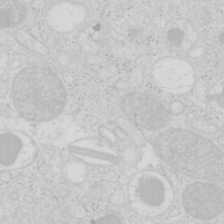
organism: Mouse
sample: Pancreas